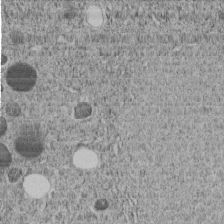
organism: C. elegans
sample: C. elegans embryo early stage